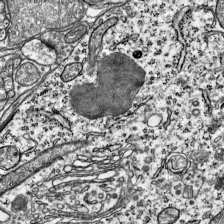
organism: Mouse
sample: Visual Cortex